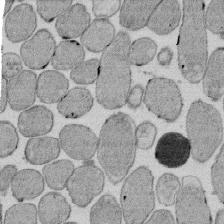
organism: E. coli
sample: Bacterial nucleoid